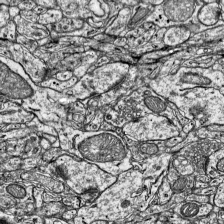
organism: Mouse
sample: Visual Cortex